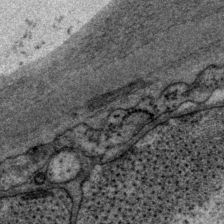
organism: P. pacificus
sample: Pharynx